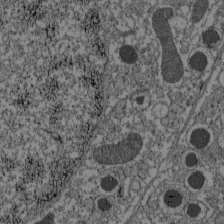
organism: C57BL Mouse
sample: Pancreatic islet